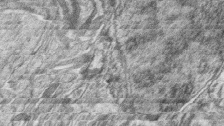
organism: Zebrafish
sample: synaptic ribbons in rod cells and cone cells